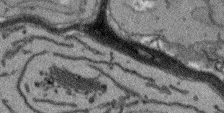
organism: Arabidopsis thaliana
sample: Root tip